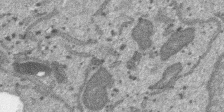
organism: Human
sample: Lung epithelial cells infected with SARS-CoV-2